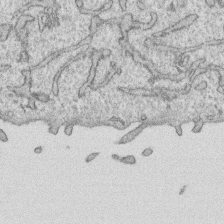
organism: Human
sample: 1205lu cells